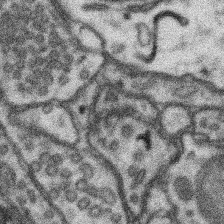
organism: Mouse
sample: Somatosensory cortex neuropil